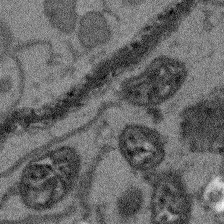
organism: Arabidopsis thaliana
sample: Root tip